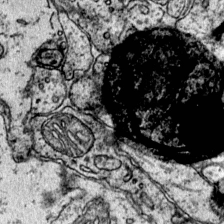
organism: Mouse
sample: Primary visual cortex